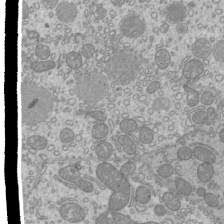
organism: Mouse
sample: Cilia; mouse epididymis